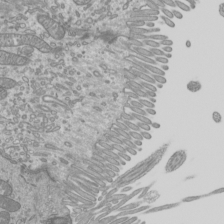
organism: Mouse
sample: Cilia; mouse epididymis